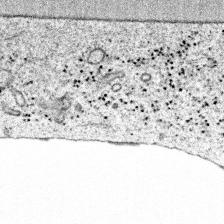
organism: Human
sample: HeLa cells